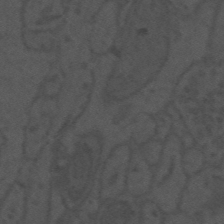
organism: Mouse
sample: Suprachiasmatic nucleus